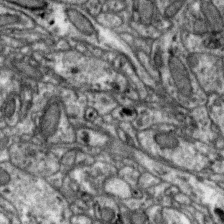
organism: Zebra finch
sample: Brain